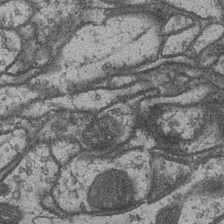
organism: Drosophila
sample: Optic medulla